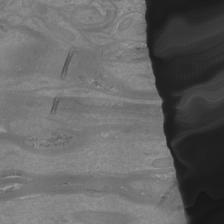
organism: Mouse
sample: Cortical neurons